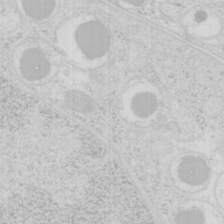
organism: Mouse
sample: Pancreas